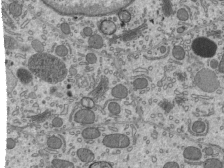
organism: Mouse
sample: Mouse epididymis efferent ductule cilia